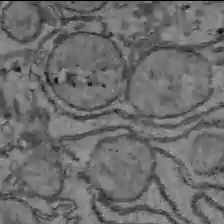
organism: C57BL Mouse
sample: Liver